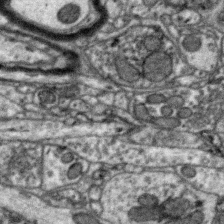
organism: Zebra finch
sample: Brain